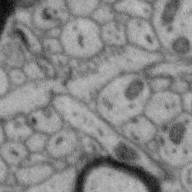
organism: Zebra finch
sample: Brain